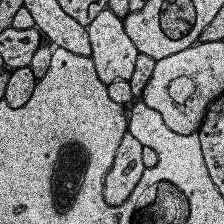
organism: Human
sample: Temporal Lobe